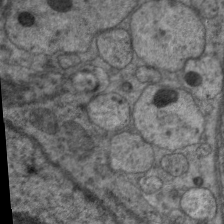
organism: C. elegans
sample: Pharynx